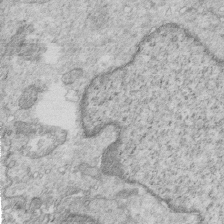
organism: Mouse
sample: Multiciliated cells